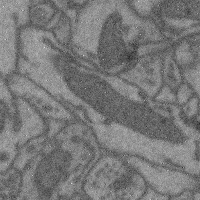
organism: Mouse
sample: Cerebral cortex